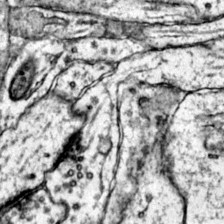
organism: Mouse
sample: Primary visual cortex